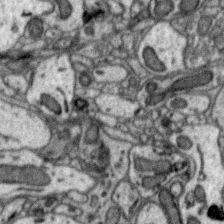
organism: Zebra finch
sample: Brain